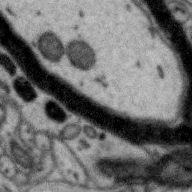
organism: Zebra finch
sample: Brain